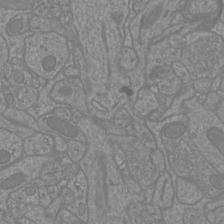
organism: Mouse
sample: Cortical neurons